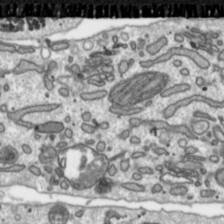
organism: Toxoplasma gondii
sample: Parasites in a vacuole inside a host cell